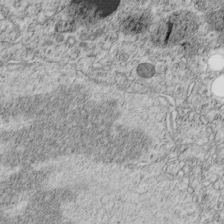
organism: C. elegans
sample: C. elegans embryo early stage